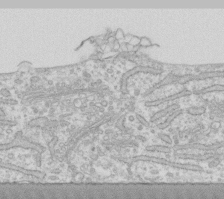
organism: Human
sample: Fibroblast cells